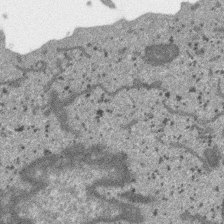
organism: Human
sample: Lung epithelial cells infected with SARS-CoV-2